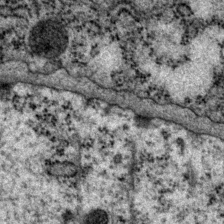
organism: P. pacificus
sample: Pharynx